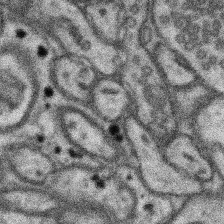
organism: Mouse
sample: Somatosensory cortex neuropil